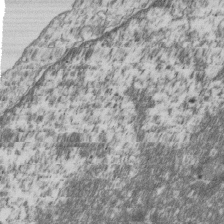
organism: Human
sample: MDA-MB-231 cells